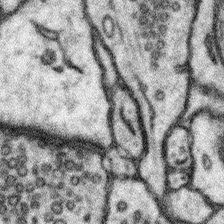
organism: Mouse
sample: Somatosensory cortex neuropil